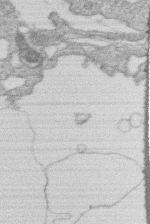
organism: Human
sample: Macrophage cells